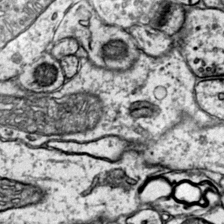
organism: Mouse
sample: Primary visual cortex